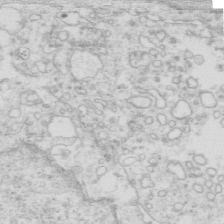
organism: Mouse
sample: Multiciliated cells